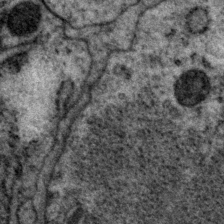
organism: P. pacificus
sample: Pharynx